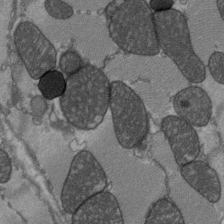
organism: C57BL Mouse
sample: Heart